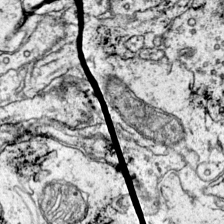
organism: Mouse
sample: Primary visual cortex